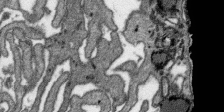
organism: Human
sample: Lung epithelial cells, uninfected (mock) control